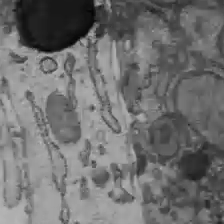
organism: C57BL Mouse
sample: Liver